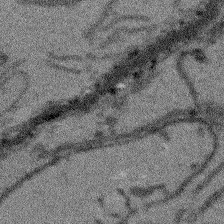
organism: Arabidopsis thaliana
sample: Root tip